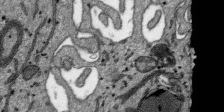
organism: Human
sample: Lung epithelial cells, uninfected (mock) control